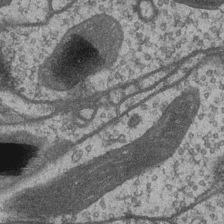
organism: Drosophila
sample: Optic medulla